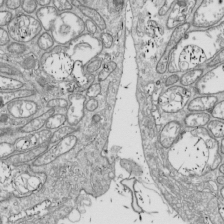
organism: Drosophila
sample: Cell division; meiosis; drosophila spermatocytes